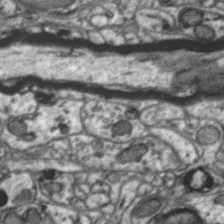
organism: Zebra finch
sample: Brain